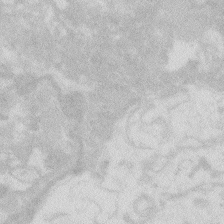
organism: Zebrafish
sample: Macrophage